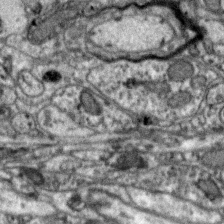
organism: Zebra finch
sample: Brain